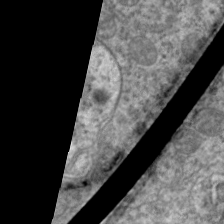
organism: C. elegans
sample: Pharynx